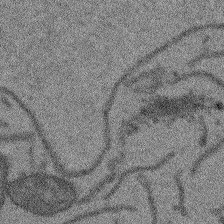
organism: Arabidopsis thaliana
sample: Root tip